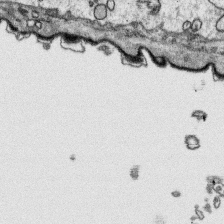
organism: Platynereis dumerilii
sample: Parapodia